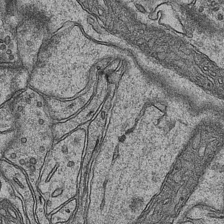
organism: Mouse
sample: CA1 Hippocampus